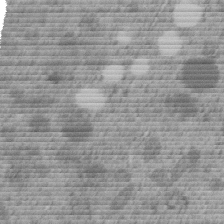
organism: C. elegans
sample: C. elegans embryo early stage